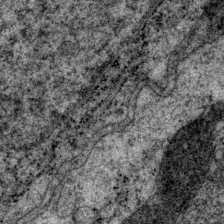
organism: P. pacificus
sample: Pharynx